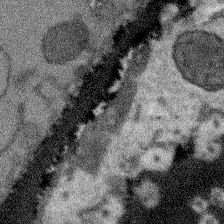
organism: Arabidopsis thaliana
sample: Root tip